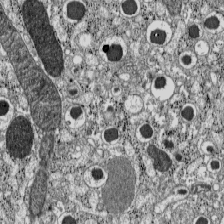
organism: C57BL Mouse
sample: Pancreatic islet